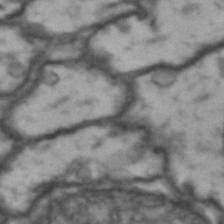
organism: Drosophila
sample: Brain